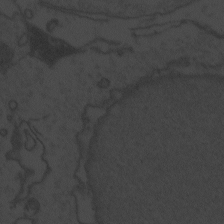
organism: Zebrafish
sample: Macrophage infected with Toxoplasma gondii